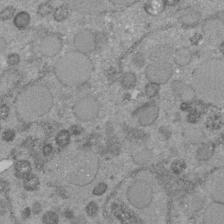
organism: C. elegans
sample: C. elegans embryo early stage